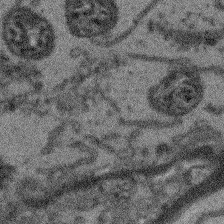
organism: Arabidopsis thaliana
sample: Root tip